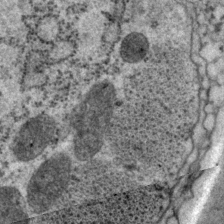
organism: P. pacificus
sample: Pharynx